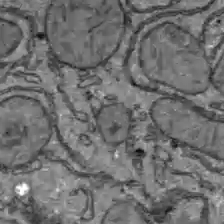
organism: C57BL Mouse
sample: Liver